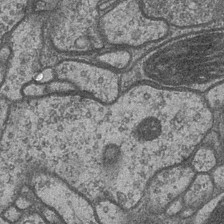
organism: Drosophila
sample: Optic medulla